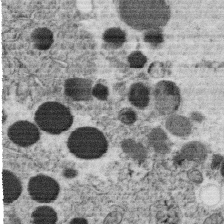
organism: C. elegans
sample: C. elegans oocyte; sperm cells